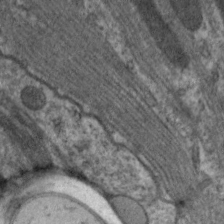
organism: C. elegans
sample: Pharynx